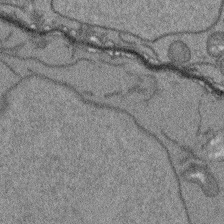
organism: Arabidopsis thaliana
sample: Root tip